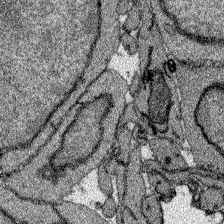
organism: Zebrafish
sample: Larval olfactory bulb